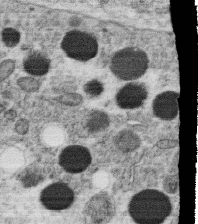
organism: C. elegans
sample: C. elegans oocyte; sperm cells